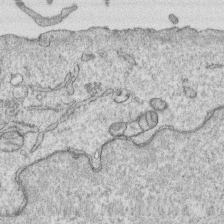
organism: Human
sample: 1205lu cells